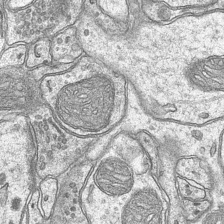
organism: Mouse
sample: CA1 Hippocampus